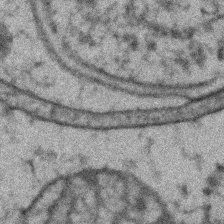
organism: Zebrafish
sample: Zebrafish embryo